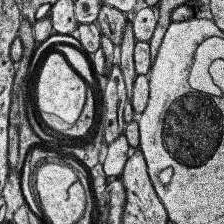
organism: Human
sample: Temporal Lobe